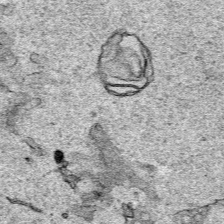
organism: Human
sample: Mitochondria in HCT116 cells